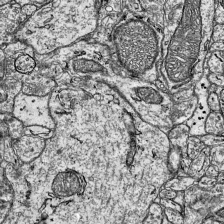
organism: Mouse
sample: Visual Cortex